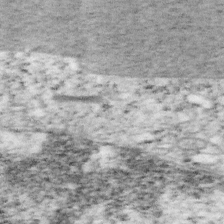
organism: Mouse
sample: OT-I killer T cells with ID8 ovarian cancer cells